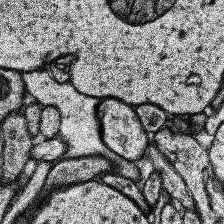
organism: Human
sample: Temporal Lobe